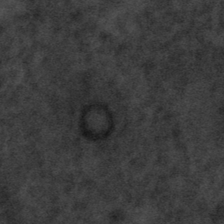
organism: Tuwongella immobilis